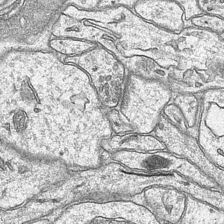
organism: Mouse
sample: CA1 Hippocampus